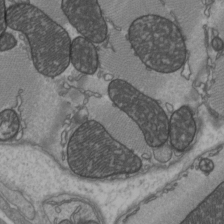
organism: C57BL Mouse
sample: Heart